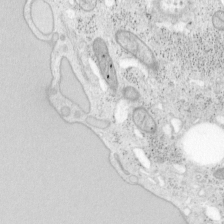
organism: Mouse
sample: OT-I killer T cells with ID8 ovarian cancer cells